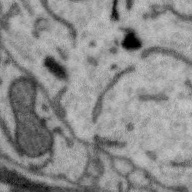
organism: Zebra finch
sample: Brain